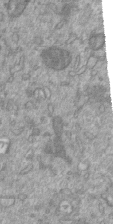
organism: Mouse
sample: ED-1 cell nuclei; centrioles